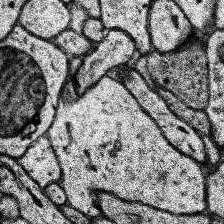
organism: Human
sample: Temporal Lobe